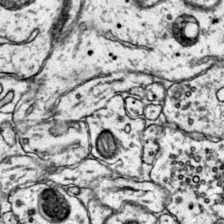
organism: Mouse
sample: Primary visual cortex